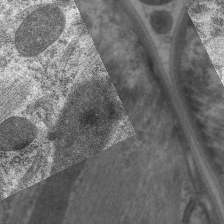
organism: C. elegans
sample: Pharynx